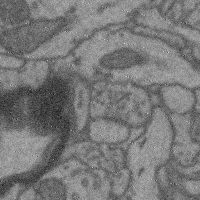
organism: Mouse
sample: Cerebral cortex